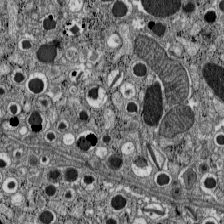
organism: C57BL Mouse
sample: Pancreatic islet